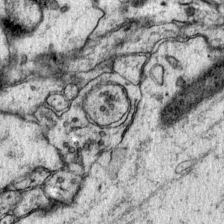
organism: Mouse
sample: Primary visual cortex